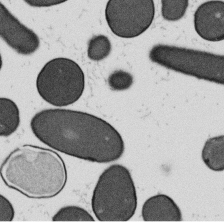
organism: B. subtilis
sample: Bacterial spore